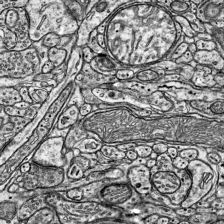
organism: Mouse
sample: Visual Cortex